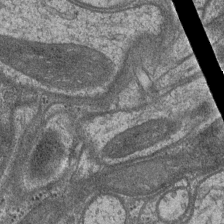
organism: Drosophila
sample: Optic medulla